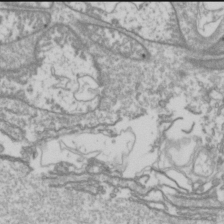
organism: Drosophila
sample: Cell division; meiosis; drosophila spermatocytes